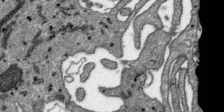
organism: Human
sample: Lung epithelial cells, uninfected (mock) control